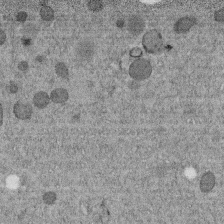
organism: C. elegans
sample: C. elegans embryo early stage